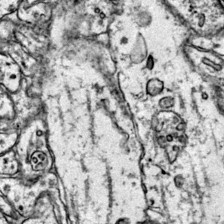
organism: Mouse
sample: Primary visual cortex